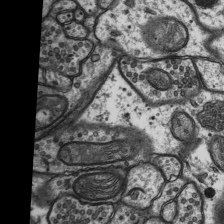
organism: Rat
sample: Hippocampus